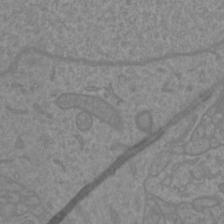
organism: Mouse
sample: Cortical neurons